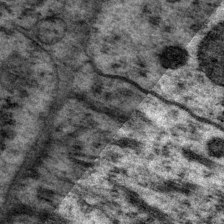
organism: P. pacificus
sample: Pharynx